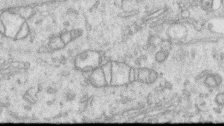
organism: Human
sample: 1205lu cells